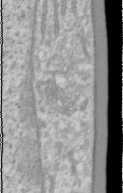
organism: Human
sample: Cilia; basal body in RPE cells